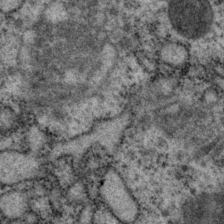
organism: P. pacificus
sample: Pharynx